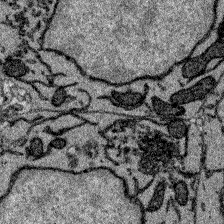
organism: Zebrafish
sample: Larval olfactory bulb